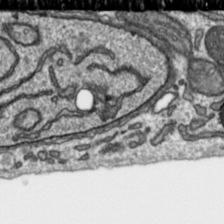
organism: Toxoplasma gondii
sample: Parasites in a vacuole inside a host cell